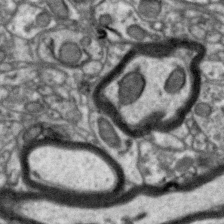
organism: Zebra finch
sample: Brain